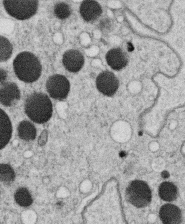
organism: C. elegans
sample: C. elegans oocyte; sperm cells